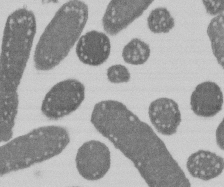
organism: E. coli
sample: Bacterial nucleoid